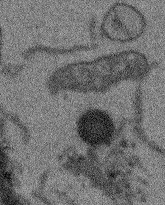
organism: Arabidopsis thaliana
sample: Root tip